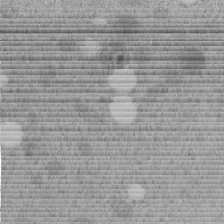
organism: C. elegans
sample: C. elegans embryo early stage